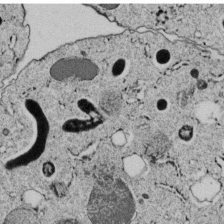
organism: C. elegans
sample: C. elegans embryo early stage